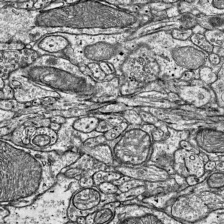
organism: Mouse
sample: Visual Cortex